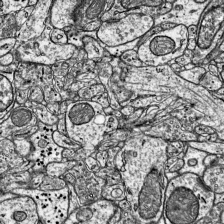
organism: Mouse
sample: Visual Cortex